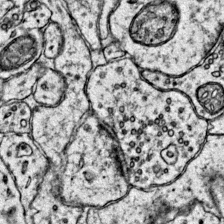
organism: Mouse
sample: Primary visual cortex